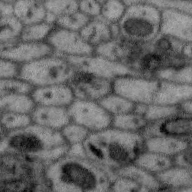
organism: Zebra finch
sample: Brain